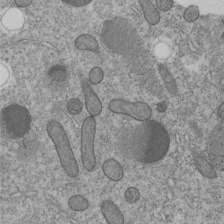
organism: C. elegans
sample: C. elegans embryo early stage